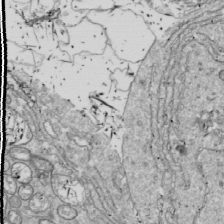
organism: Drosophila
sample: Cell division; meiosis; drosophila spermatocytes